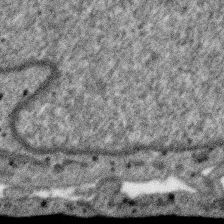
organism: Human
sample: Lung epithelial cells infected with SARS-CoV-2